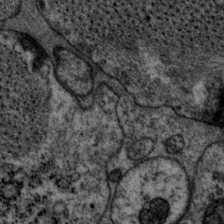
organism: P. pacificus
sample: Pharynx